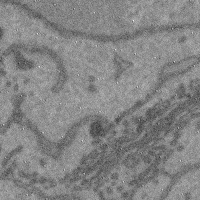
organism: Mouse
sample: Cerebral cortex